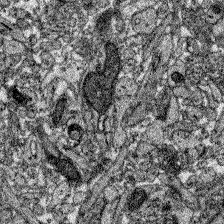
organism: Zebrafish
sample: Larval olfactory bulb